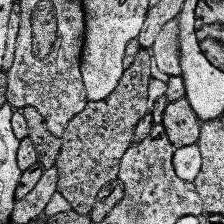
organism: Human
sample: Temporal Lobe